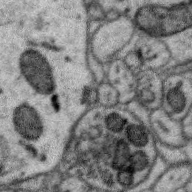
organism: Zebra finch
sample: Brain